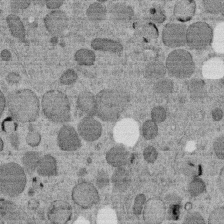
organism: C. elegans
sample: C. elegans embryo early stage